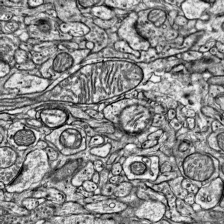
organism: Mouse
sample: Visual Cortex